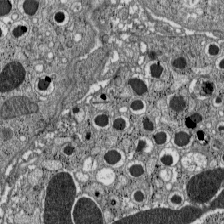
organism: C57BL Mouse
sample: Pancreatic islet